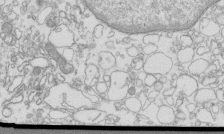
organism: Mouse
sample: Macrophages